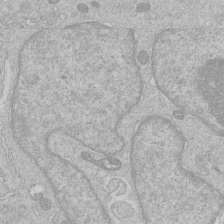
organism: Human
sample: Macrophage cells